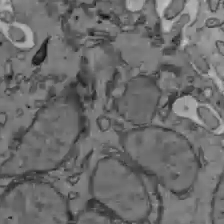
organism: C57BL Mouse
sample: Liver